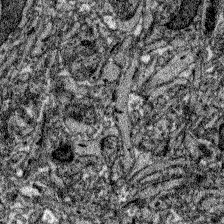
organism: Zebrafish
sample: Larval olfactory bulb